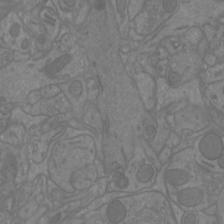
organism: Mouse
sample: Cortical neurons